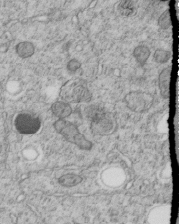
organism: C. elegans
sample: C. elegans embryo early stage